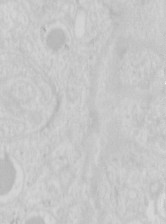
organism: Mouse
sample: Pancreas